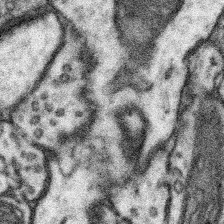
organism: Mouse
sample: Somatosensory cortex neuropil